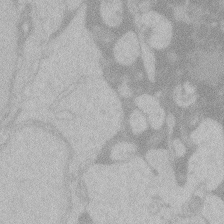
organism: Zebrafish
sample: Macrophage infected with Toxoplasma gondii